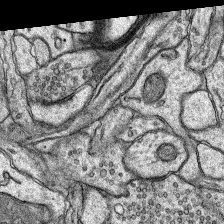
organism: Rat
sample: Hippocampus